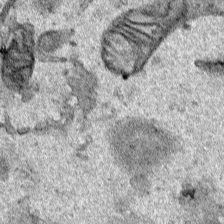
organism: Human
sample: Mitochondria in HCT116 cells